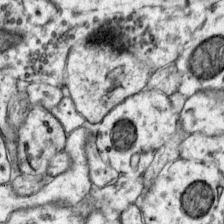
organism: Mouse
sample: Primary visual cortex